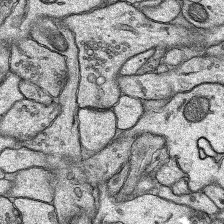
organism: Rat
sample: Hippocampus